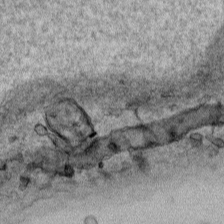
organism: Human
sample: Mitochondria in HCT116 cells